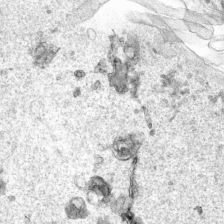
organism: Human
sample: Mitochondria in HCT116 cells